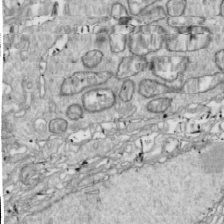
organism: Drosophila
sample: Cell division; meiosis; drosophila spermatocytes